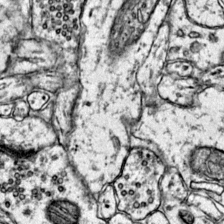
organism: Mouse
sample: Primary visual cortex